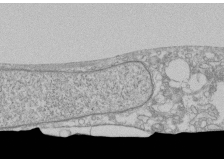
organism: Human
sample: CRL-1474